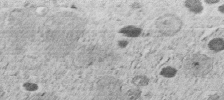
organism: C. elegans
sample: C. elegans embryo early stage